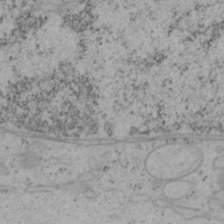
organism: Human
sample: HeLa cells